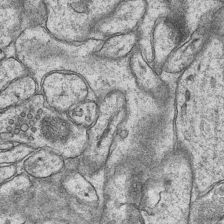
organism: Mouse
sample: CA1 Hippocampus